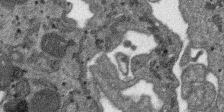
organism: Human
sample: Lung epithelial cells infected with SARS-CoV-2